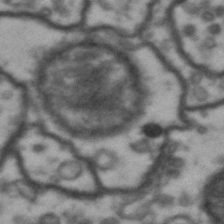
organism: Drosophila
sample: Brain